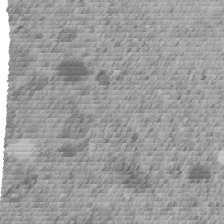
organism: C. elegans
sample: C. elegans embryo early stage